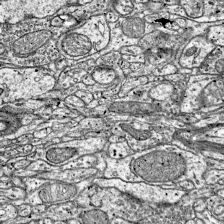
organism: Mouse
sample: Visual Cortex